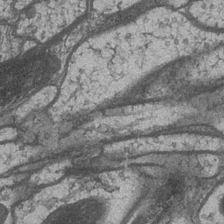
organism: Drosophila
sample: Optic medulla